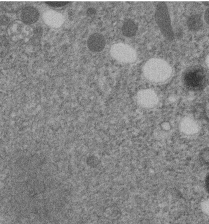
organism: C. elegans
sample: C. elegans embryo early stage